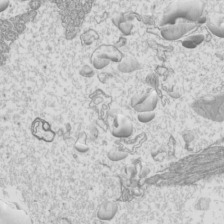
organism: Mouse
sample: Cilia; mouse epididymis